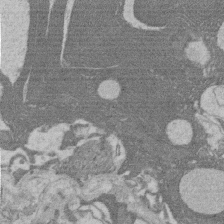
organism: Rat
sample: Salivary granule